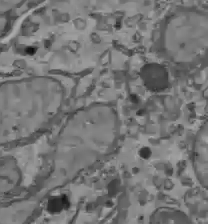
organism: C57BL Mouse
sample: Liver